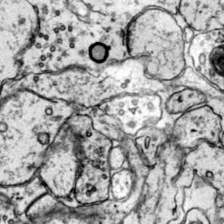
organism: Mouse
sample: Primary visual cortex